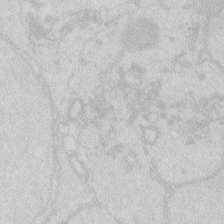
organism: Zebrafish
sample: Macrophage